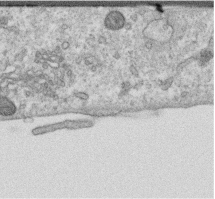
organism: Human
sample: Centriole in RPE cells